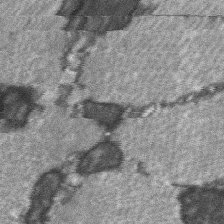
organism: C57BL Mouse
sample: Soleus